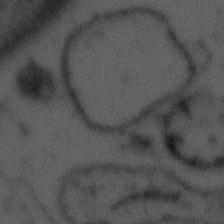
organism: Tuwongella immobilis